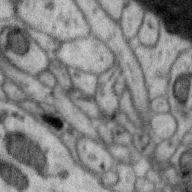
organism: Zebra finch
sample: Brain